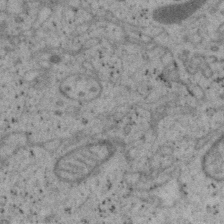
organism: Human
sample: HeLa cells